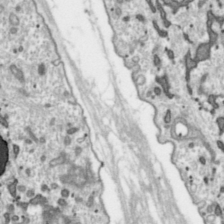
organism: Toxoplasma gondii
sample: Parasites in a vacuole inside a host cell